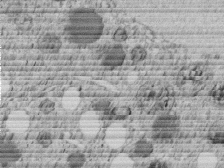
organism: C. elegans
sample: C. elegans embryo early stage